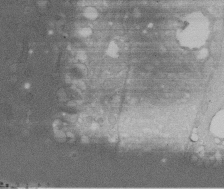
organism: Human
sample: Melanocyte Keratinocyte synapse skin construct